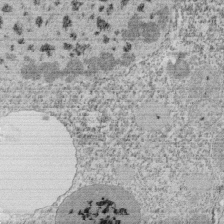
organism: Tetrahymena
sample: Cilia in tetrahymena